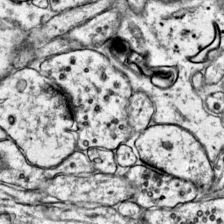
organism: Mouse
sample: Primary visual cortex